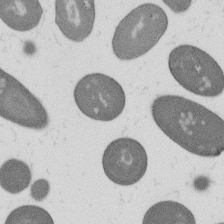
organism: B. subtilis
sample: Bacterial spore